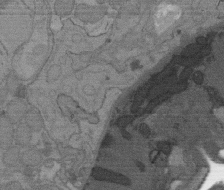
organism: C. elegans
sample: AFD neurons C. elegans